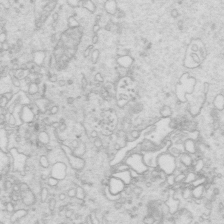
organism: Mouse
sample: Multiciliated cells